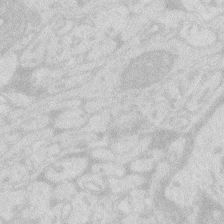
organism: Zebrafish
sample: Macrophage